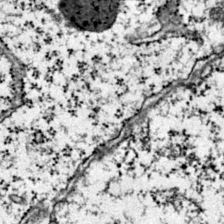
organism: Mouse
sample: Primary visual cortex